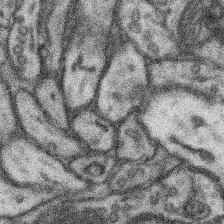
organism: Mouse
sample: Somatosensory cortex neuropil